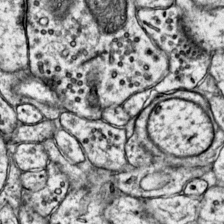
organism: Mouse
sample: Primary visual cortex